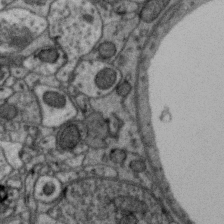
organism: Zebra finch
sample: Brain